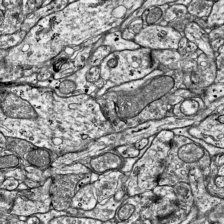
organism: Mouse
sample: Visual Cortex